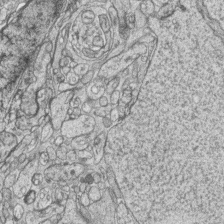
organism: Zebrafish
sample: synaptic ribbons in rod cells and cone cells